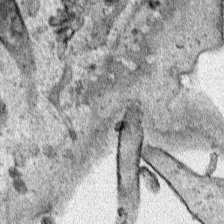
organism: Human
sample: Mitochondria in HCT116 cells